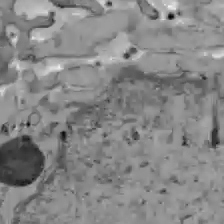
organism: C57BL Mouse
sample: Liver